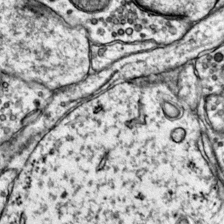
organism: Mouse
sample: Primary visual cortex